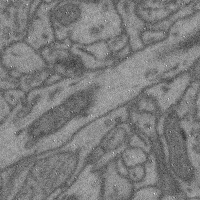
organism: Mouse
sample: Cerebral cortex